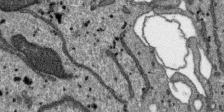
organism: Human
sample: Lung epithelial cells, uninfected (mock) control